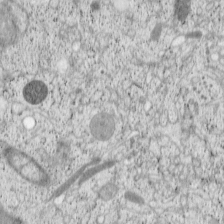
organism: African green monkey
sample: COS-7 cells